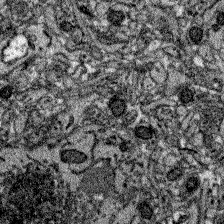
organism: Zebrafish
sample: Larval olfactory bulb